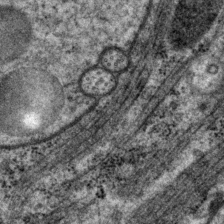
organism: P. pacificus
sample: Pharynx